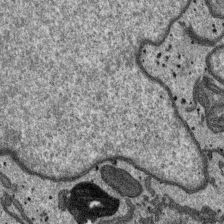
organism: Human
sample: Lung epithelial cells, uninfected (mock) control